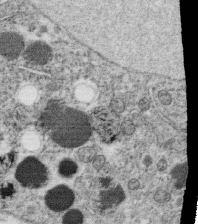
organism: C. elegans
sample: C. elegans oocyte; sperm cells